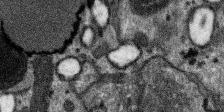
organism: Human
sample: Lung epithelial cells infected with SARS-CoV-2